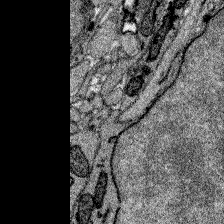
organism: Zebrafish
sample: Larval olfactory bulb